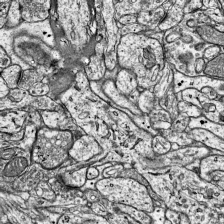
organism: Mouse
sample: Visual Cortex